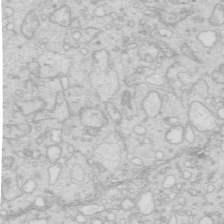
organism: Mouse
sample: Multiciliated cells